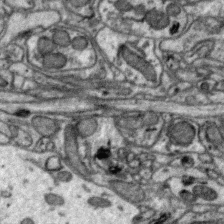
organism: Zebra finch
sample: Brain